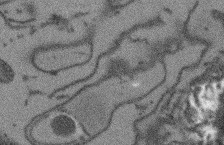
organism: Arabidopsis thaliana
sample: Root tip